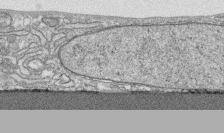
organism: Human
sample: CRL-1474